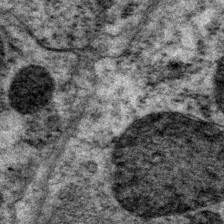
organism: P. pacificus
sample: Pharynx